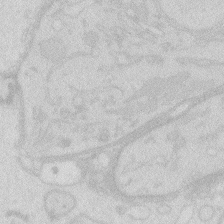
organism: Zebrafish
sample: Macrophage